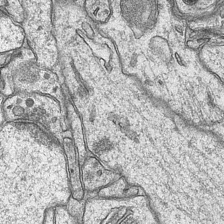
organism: Mouse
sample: CA1 Hippocampus